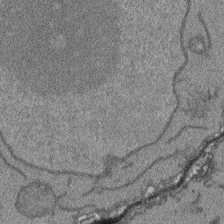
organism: Arabidopsis thaliana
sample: Root tip